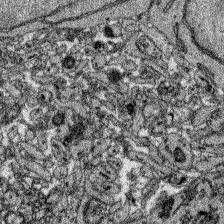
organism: Zebrafish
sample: Larval olfactory bulb